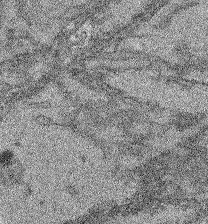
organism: Human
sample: HeLa cells